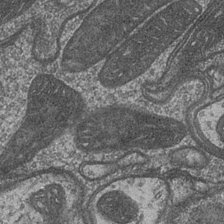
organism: Drosophila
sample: Optic medulla